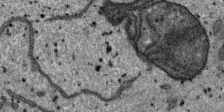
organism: Human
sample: Lung epithelial cells, uninfected (mock) control